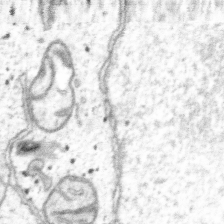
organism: Human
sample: HeLa cells